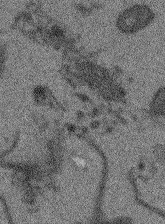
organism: Arabidopsis thaliana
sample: Root tip